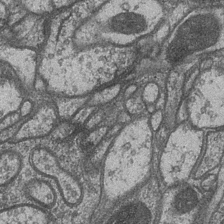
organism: Drosophila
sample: Optic medulla